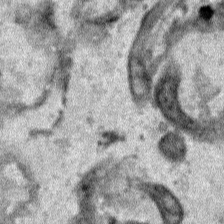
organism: Human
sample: Mitochondria in HCT116 cells